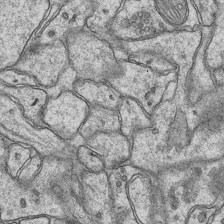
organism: Mouse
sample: CA1 Hippocampus